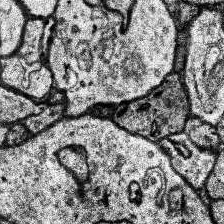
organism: Human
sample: Temporal Lobe